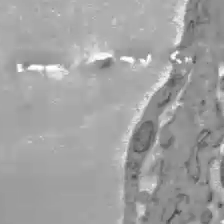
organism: C57BL Mouse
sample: Liver